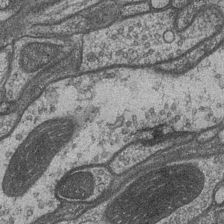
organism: Drosophila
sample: Optic medulla